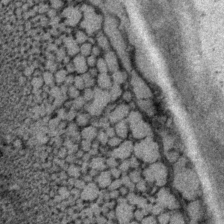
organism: P. pacificus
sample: Pharynx